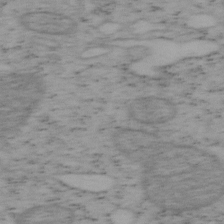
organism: Mouse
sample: OT-I killer T cells with ID8 ovarian cancer cells